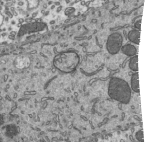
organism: Mouse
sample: Mouse epididymis efferent ductule cilia